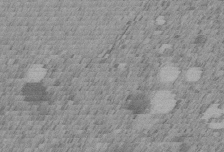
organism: C. elegans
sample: C. elegans embryo early stage